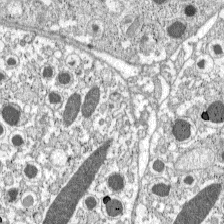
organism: C57BL Mouse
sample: Pancreatic islet